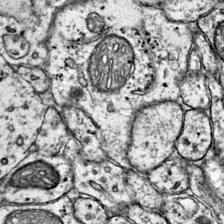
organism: Mouse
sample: Primary visual cortex